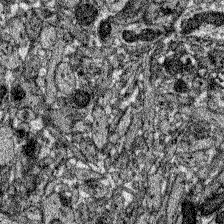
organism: Zebrafish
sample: Larval olfactory bulb